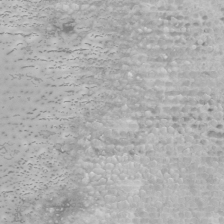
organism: Human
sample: Mitochondria in U2OS cells